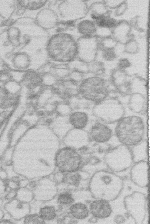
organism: Human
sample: Macrophage cells